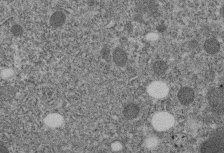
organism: C. elegans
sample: C. elegans embryo early stage